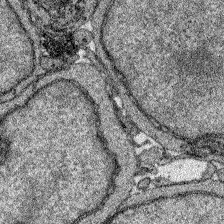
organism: Zebrafish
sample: Larval olfactory bulb